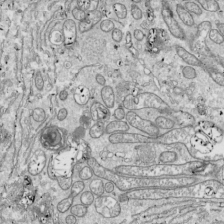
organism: Drosophila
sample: Cell division; meiosis; drosophila spermatocytes